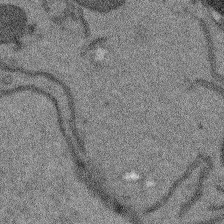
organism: Arabidopsis thaliana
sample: Root tip